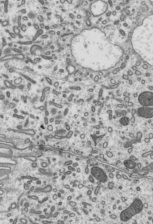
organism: Mouse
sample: Mouse epididymis efferent ductule cilia